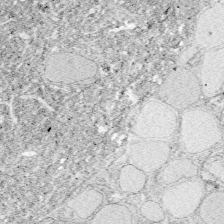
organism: Zebrafish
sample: Whole-Brain